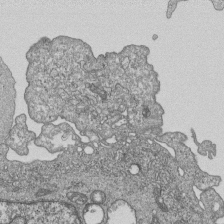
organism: Human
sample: MDA-MB-231 cells